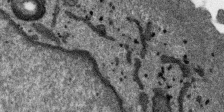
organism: Human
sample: Lung epithelial cells, uninfected (mock) control